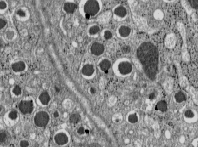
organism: C57BL Mouse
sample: Pancreatic islet